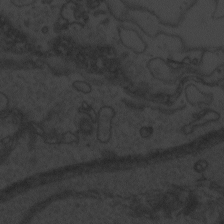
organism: Zebrafish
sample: Macrophage infected with Toxoplasma gondii